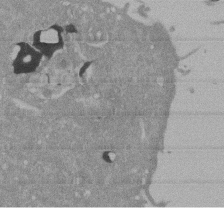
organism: Mouse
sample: ED-1 cell nuclei; centrioles